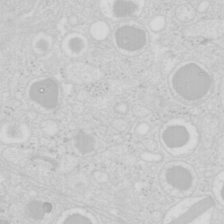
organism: Mouse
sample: Pancreas